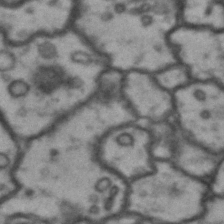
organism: Drosophila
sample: Brain